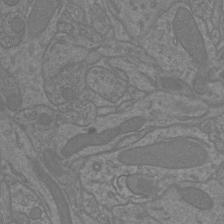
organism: Mouse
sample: Cortical neurons